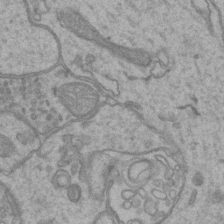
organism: Mouse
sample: CA1 Hippocampus